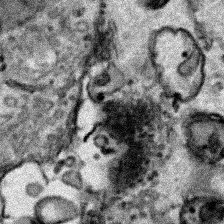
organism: Human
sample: Mitochondria in HCT116 cells